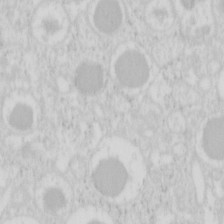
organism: Mouse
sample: Pancreas